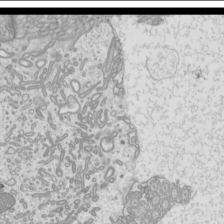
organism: Mouse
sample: Cilia; mouse epididymis